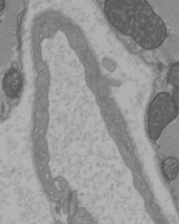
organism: C57BL Mouse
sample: Heart